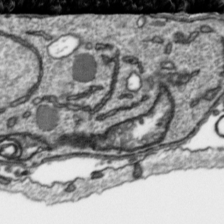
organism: Toxoplasma gondii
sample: Parasites in a vacuole inside a host cell